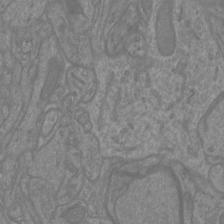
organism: Mouse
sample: Cortical neurons